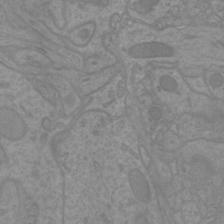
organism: Mouse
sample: Cortical neurons